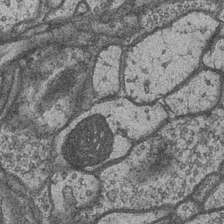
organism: Drosophila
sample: Optic medulla